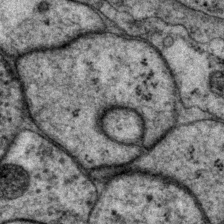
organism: P. pacificus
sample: Pharynx